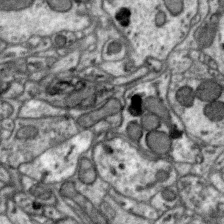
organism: Zebra finch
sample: Brain